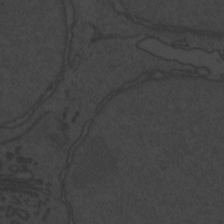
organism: Zebrafish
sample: Macrophage infected with Toxoplasma gondii